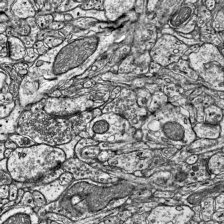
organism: Mouse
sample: Visual Cortex